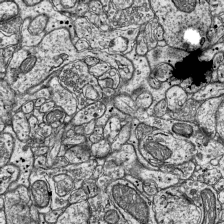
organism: Mouse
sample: Visual Cortex